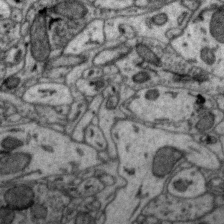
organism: Zebra finch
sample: Brain